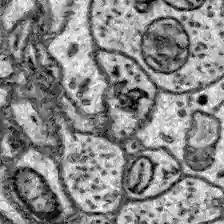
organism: Zebrafish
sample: Brain